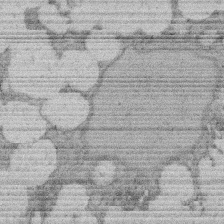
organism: Rat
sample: Salivary granule